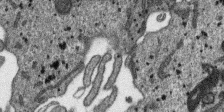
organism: Human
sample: Lung epithelial cells infected with SARS-CoV-2